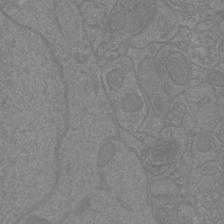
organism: Mouse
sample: Cortical neurons